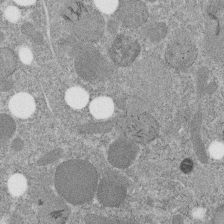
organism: C. elegans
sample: C. elegans embryo early stage